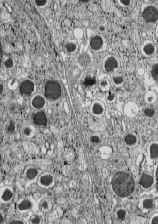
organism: C57BL Mouse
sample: Pancreatic islet